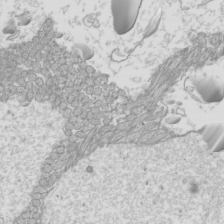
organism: Mouse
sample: Cilia; mouse epididymis